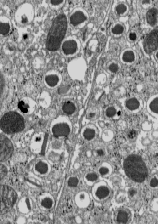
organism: C57BL Mouse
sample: Pancreatic islet